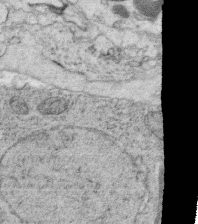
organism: C. elegans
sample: C. elegans oocyte; sperm cells